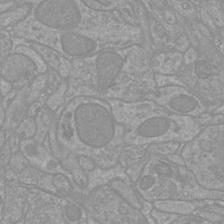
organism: Mouse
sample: Cortical neurons